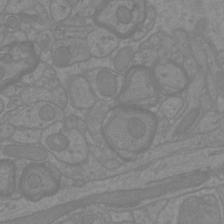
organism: Mouse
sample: Cortical neurons